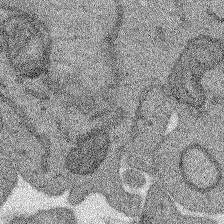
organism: Human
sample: HeLa cells